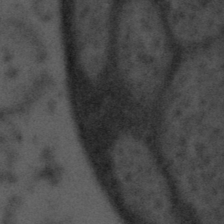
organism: Tuwongella immobilis